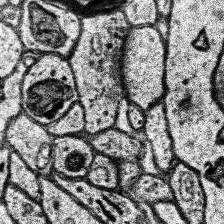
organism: Human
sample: Temporal Lobe